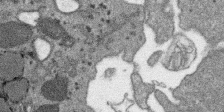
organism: Human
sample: Lung epithelial cells infected with SARS-CoV-2